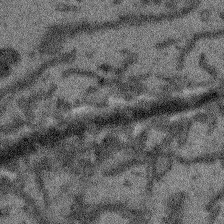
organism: Arabidopsis thaliana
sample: Root tip